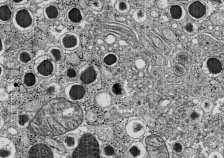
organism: C57BL Mouse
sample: Pancreatic islet